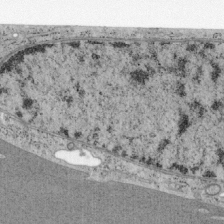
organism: Human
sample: HeLa cells